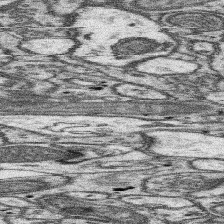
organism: Mouse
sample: Somatosensory cortex neuropil